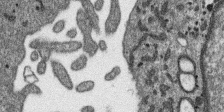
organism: Human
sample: Lung epithelial cells infected with SARS-CoV-2